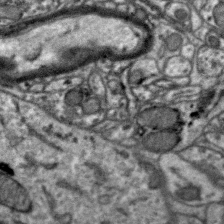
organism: Zebra finch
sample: Brain